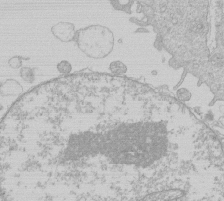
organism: Human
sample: Macrophage cells